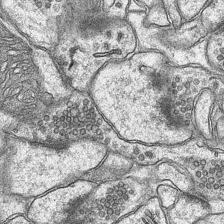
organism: Mouse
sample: CA1 Hippocampus